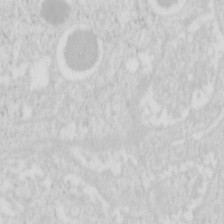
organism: Mouse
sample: Pancreas